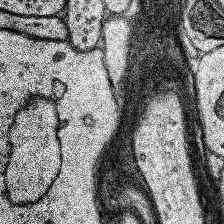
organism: Human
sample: Temporal Lobe